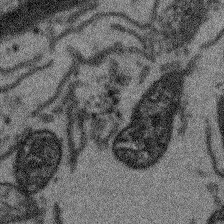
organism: Arabidopsis thaliana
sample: Root tip